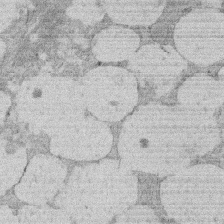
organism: Rat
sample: Salivary granule